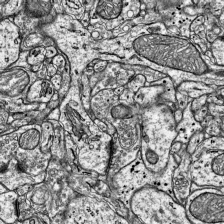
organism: Mouse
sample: Visual Cortex